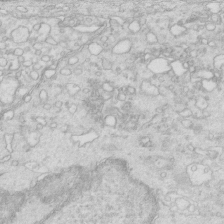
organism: Mouse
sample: Multiciliated cells